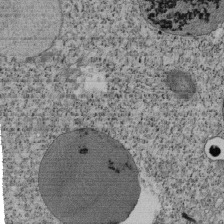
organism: Tetrahymena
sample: Cilia in tetrahymena